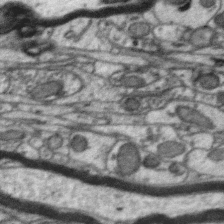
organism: Zebra finch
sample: Brain